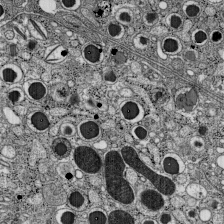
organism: C57BL Mouse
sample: Pancreatic islet